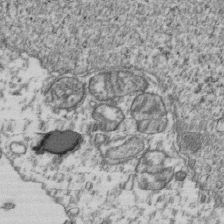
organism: Human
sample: Activated Jurkat CD4+ T cells